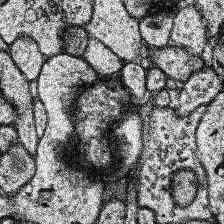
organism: Human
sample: Temporal Lobe